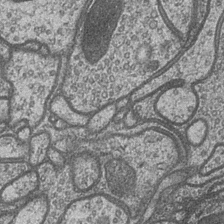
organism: Drosophila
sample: Optic medulla